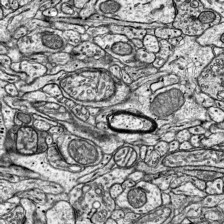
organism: Mouse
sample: Visual Cortex